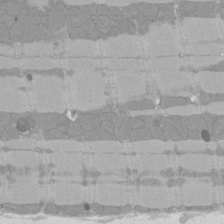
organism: Rat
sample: Left ventricle